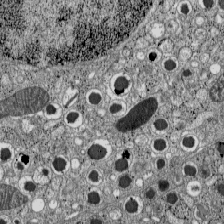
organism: C57BL Mouse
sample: Pancreatic islet